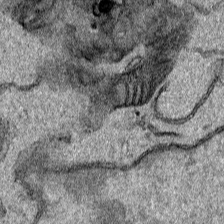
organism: Human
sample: Mitochondria in HCT116 cells